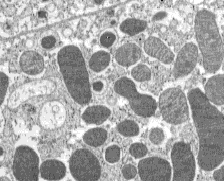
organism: C57BL Mouse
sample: Pancreatic islet